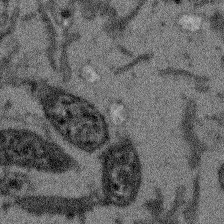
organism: Arabidopsis thaliana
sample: Root tip